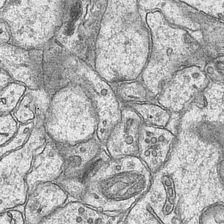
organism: Mouse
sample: CA1 Hippocampus